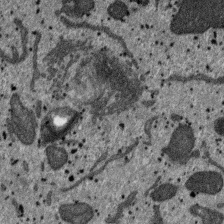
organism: Human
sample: Lung epithelial cells, uninfected (mock) control